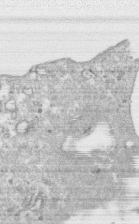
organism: Human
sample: CRL-1474